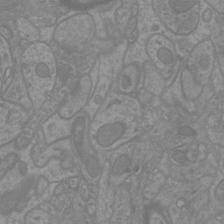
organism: Mouse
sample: Cortical neurons